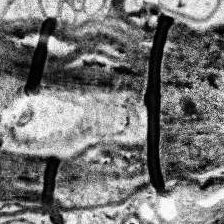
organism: Human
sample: Temporal Lobe